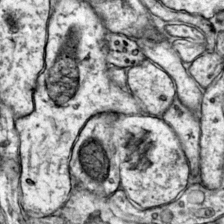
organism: Mouse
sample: Primary visual cortex